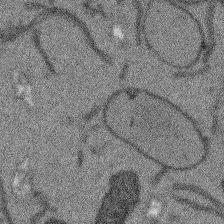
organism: Arabidopsis thaliana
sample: Root tip